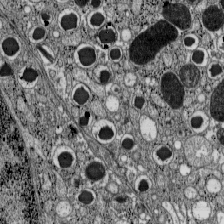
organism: C57BL Mouse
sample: Pancreatic islet